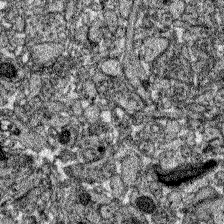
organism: Zebrafish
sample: Larval olfactory bulb